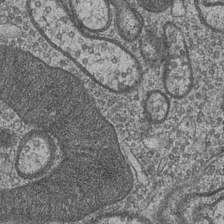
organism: Drosophila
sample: Optic medulla